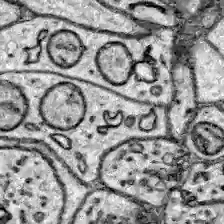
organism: Zebrafish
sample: Brain